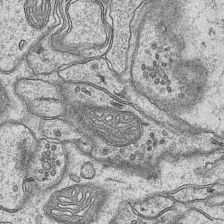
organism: Mouse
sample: CA1 Hippocampus